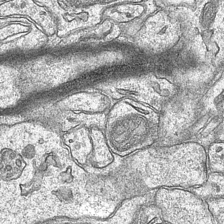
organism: Mouse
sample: CA1 Hippocampus